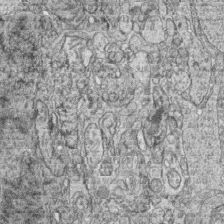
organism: Zebrafish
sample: synaptic ribbons in rod cells and cone cells